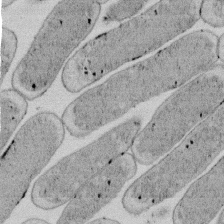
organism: E. coli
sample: Bacterial nucleoid